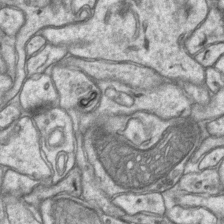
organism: Mouse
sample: CA1 Hippocampus